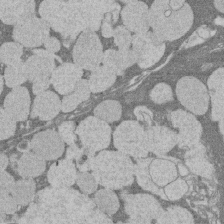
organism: Rat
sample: Salivary granule